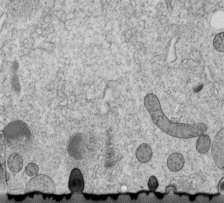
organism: C. elegans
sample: C. elegans embryo early stage